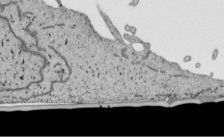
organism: Human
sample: Mitochondria in HCT116 cells